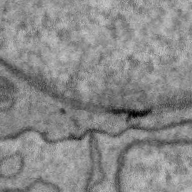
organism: Zebra finch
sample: Brain